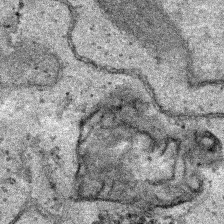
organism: Human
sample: Mitochondria in HCT116 cells